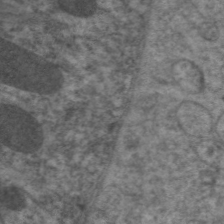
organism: C. elegans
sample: Pharynx